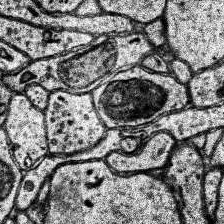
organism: Human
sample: Temporal Lobe